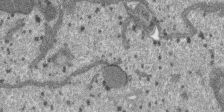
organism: Human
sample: Lung epithelial cells infected with SARS-CoV-2